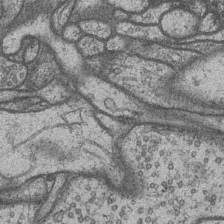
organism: Drosophila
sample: Optic medulla